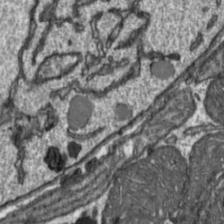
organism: Toxoplasma gondii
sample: Parasites in a vacuole inside a host cell